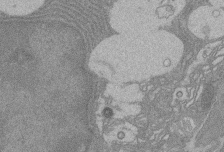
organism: Rat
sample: Salivary granule